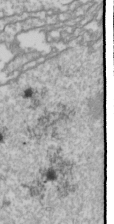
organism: Drosophila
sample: Cell division; meiosis; drosophila spermatocytes